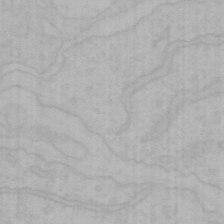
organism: Mouse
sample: Choroid plexus